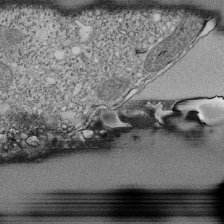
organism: Tetrahymena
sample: Cilia in tetrahymena